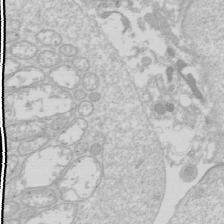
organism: Drosophila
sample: Cell division; meiosis; drosophila spermatocytes